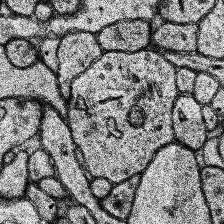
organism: Human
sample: Temporal Lobe